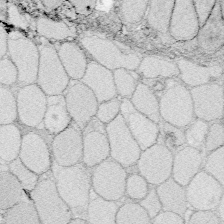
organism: Zebrafish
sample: Whole-Brain